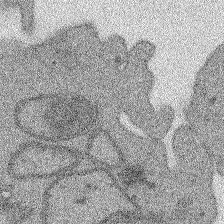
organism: Human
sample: HeLa cells